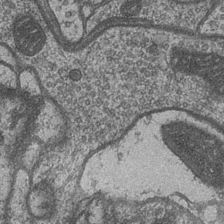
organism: Drosophila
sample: Optic medulla